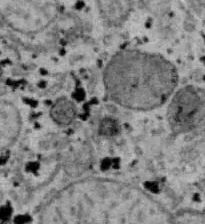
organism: Mouse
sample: Liver from an obese (ob/ob) mouse